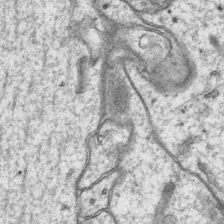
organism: Mouse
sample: CA1 Hippocampus